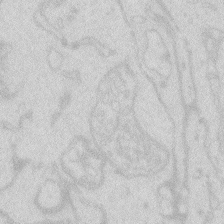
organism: Zebrafish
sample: Macrophage